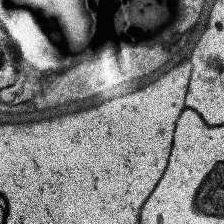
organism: Human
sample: Temporal Lobe